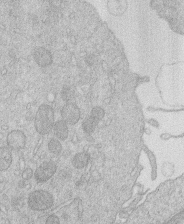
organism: Human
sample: Macrophage cells